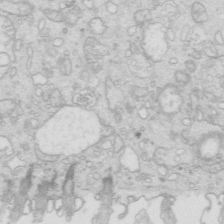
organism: Mouse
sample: Multiciliated cells